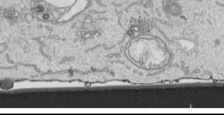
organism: Human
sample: Mitochondria in HCT116 cells